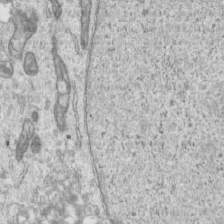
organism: Human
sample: Centriole in RPE cells